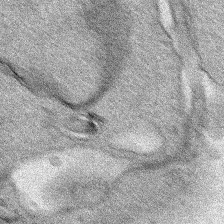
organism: Human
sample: Mitochondria in HCT116 cells